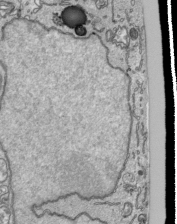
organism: Human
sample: Mitochondria in HCT116 cells